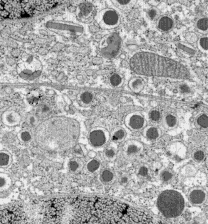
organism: C57BL Mouse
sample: Pancreatic islet